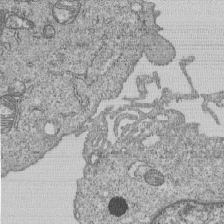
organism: Human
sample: MDA-MB-231 cells